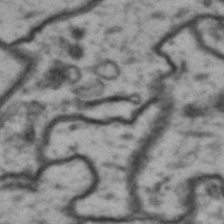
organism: Drosophila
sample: Brain